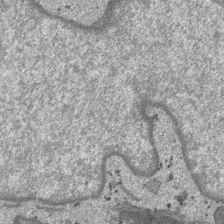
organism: Human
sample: Lung epithelial cells infected with SARS-CoV-2